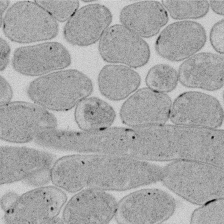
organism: E. coli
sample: Bacterial nucleoid